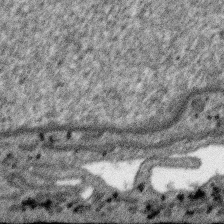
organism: Human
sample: Lung epithelial cells infected with SARS-CoV-2